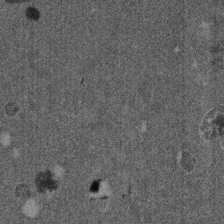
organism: Mouse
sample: Dividing mouse embryo 1 cell stage